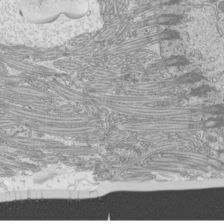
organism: Mouse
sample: Cilia; mouse epididymis